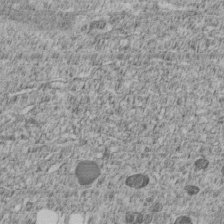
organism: C. elegans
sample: C. elegans embryo early stage